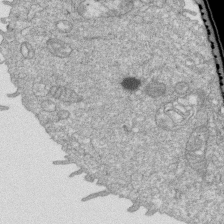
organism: Human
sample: HeLa cell HIV synapse